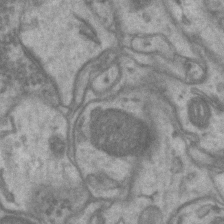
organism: Mouse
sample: CA1 Hippocampus